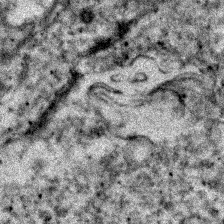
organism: Zebrafish